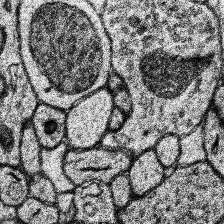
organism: Human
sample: Temporal Lobe